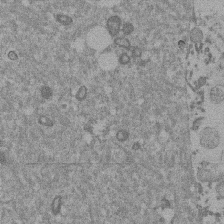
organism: Mouse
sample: Dividing mouse embryo 1 cell stage